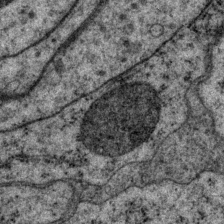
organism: P. pacificus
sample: Pharynx